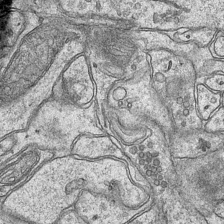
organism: Mouse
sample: CA1 Hippocampus